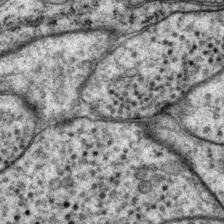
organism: P. pacificus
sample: Pharynx